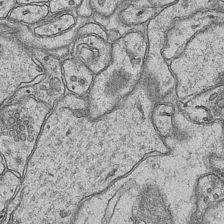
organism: Mouse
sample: CA1 Hippocampus